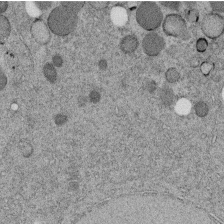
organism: C. elegans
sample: C. elegans embryo early stage